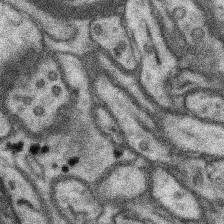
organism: Mouse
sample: Somatosensory cortex neuropil